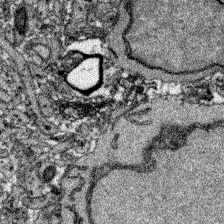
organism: Zebrafish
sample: Larval olfactory bulb